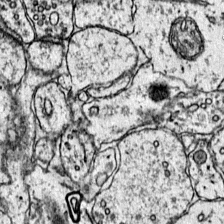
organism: Mouse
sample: Primary visual cortex